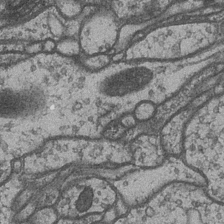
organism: Drosophila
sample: Optic medulla